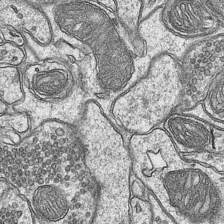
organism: Mouse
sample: CA1 Hippocampus